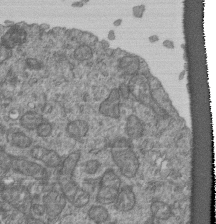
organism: Human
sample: Retinal organoid Rod and Cone cells